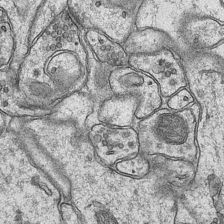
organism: Mouse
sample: CA1 Hippocampus